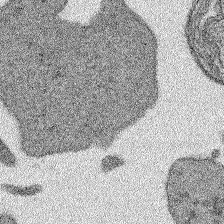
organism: Human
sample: HeLa cells